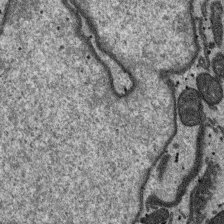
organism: Human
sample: Lung epithelial cells, uninfected (mock) control